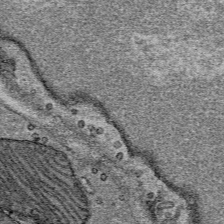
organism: Mouse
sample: Mouse Salivary gland